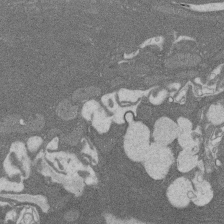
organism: Rat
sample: Salivary granule